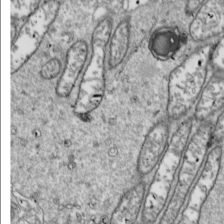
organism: Drosophila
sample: Cell division; meiosis; drosophila spermatocytes